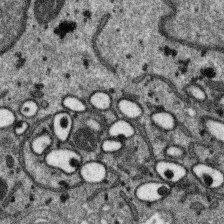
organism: Human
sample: Lung epithelial cells infected with SARS-CoV-2